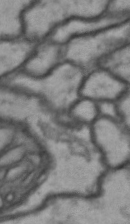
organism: Drosophila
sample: Brain